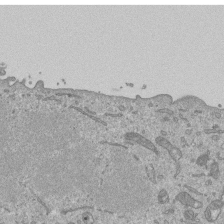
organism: Mouse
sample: ED-1 cell nuclei; centrioles